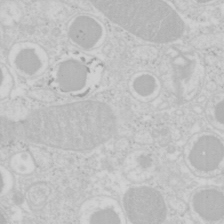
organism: Mouse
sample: Pancreas